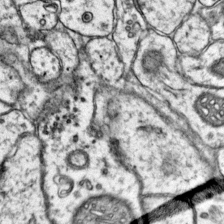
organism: Mouse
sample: Primary visual cortex